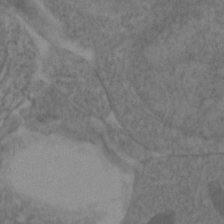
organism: Zebrafish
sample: Zebrafish embryo